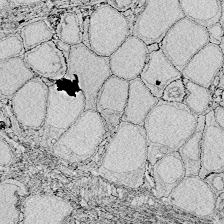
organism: Zebrafish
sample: Whole-Brain